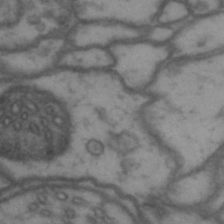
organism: Drosophila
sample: Brain